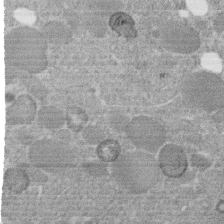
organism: C. elegans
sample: C. elegans embryo early stage